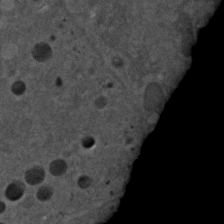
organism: C. elegans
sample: C. elegans embryo